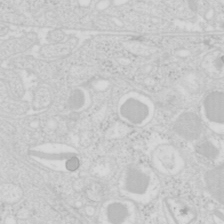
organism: Mouse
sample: Pancreas